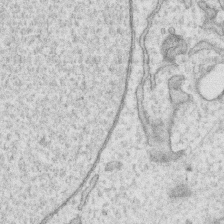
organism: Human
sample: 1205lu cells